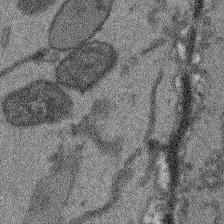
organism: Arabidopsis thaliana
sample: Root tip